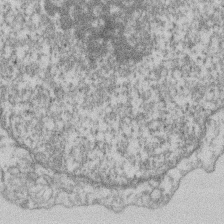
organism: Mouse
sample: T cell stromal cell synapse